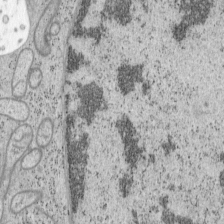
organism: Mouse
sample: OT-I killer T cells with ID8 ovarian cancer cells